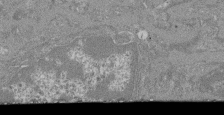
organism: Mouse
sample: Glomerulus